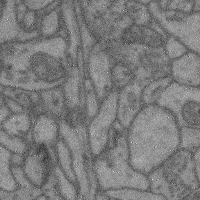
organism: Mouse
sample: Cerebral cortex